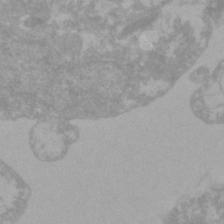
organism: Zebrafish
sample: Zebrafish embryo